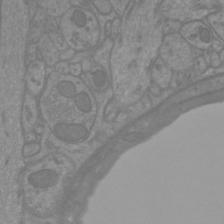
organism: Mouse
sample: Cortical neurons